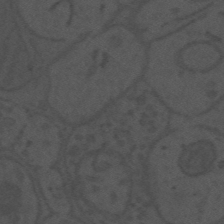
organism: Mouse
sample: Suprachiasmatic nucleus